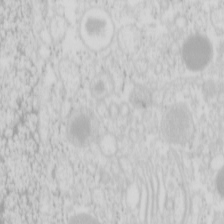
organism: Mouse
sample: Pancreas